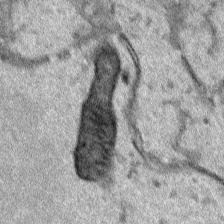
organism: Human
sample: Mitochondria in HCT116 cells